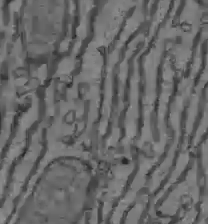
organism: C57BL Mouse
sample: Liver